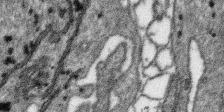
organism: Human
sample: Lung epithelial cells infected with SARS-CoV-2